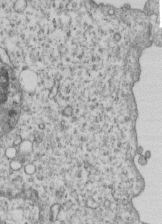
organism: Human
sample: MDA-MB-231 cells